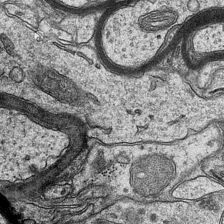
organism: Mouse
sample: CA1 Hippocampus